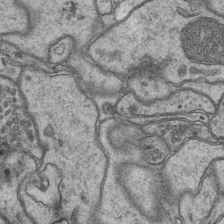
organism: Mouse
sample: CA1 Hippocampus